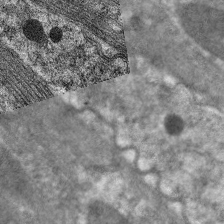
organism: C. elegans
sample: Pharynx